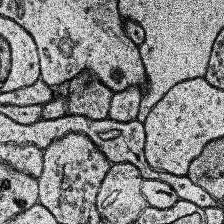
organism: Human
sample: Temporal Lobe